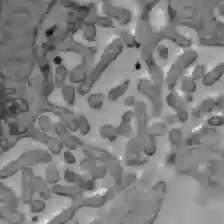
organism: C57BL Mouse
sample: Liver